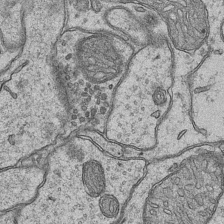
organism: Mouse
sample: CA1 Hippocampus